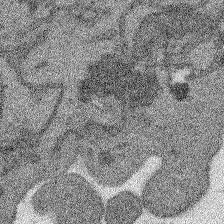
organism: Human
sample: HeLa cells